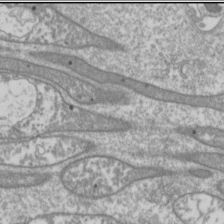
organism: Drosophila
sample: Cell division; meiosis; drosophila spermatocytes